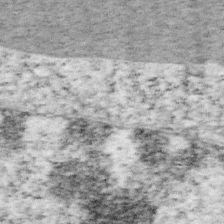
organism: Mouse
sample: OT-I killer T cells with ID8 ovarian cancer cells